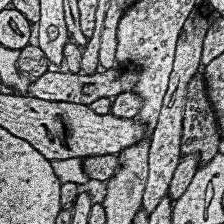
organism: Human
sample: Temporal Lobe